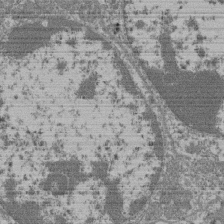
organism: Mouse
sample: Glomerulus